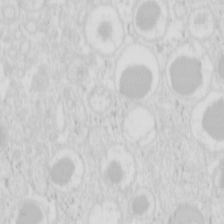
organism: Mouse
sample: Pancreas